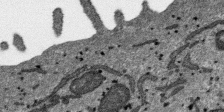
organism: Human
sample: Lung epithelial cells, uninfected (mock) control